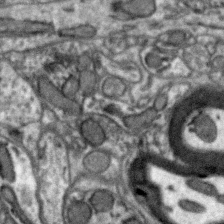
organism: Zebra finch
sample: Brain